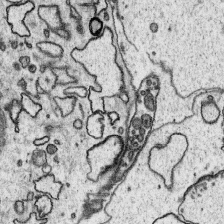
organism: Platynereis dumerilii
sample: Parapodia